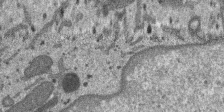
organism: Human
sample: Lung epithelial cells infected with SARS-CoV-2